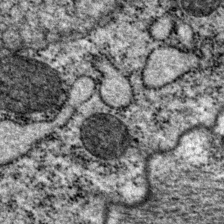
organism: P. pacificus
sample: Pharynx